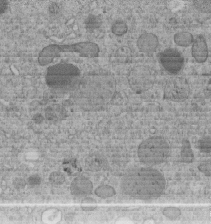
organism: C. elegans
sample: C. elegans embryo early stage